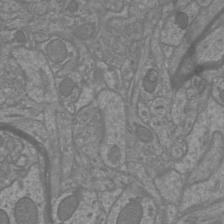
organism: Mouse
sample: Cortical neurons